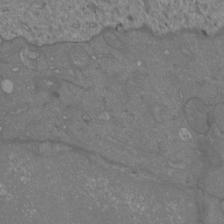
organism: Mouse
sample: Cortical neurons